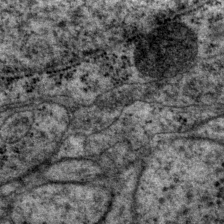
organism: P. pacificus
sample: Pharynx